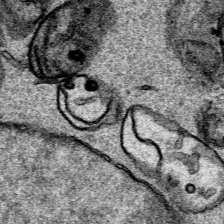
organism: Human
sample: Mitochondria in HCT116 cells